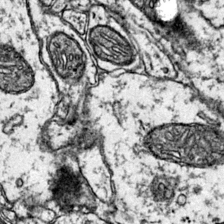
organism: Mouse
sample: Primary visual cortex